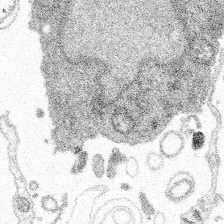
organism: Spongilla lacustris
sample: Multiple